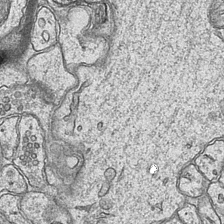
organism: Mouse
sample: CA1 Hippocampus